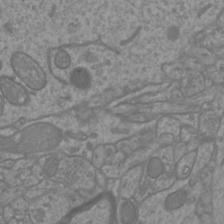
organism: Mouse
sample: Cortical neurons